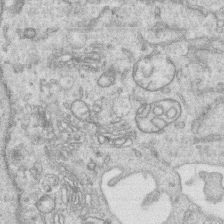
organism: Human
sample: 1205lu cells